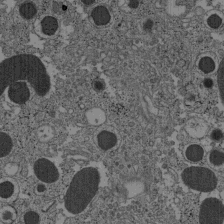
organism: C57BL Mouse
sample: Pancreatic islet